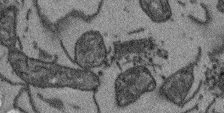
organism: Arabidopsis thaliana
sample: Root tip